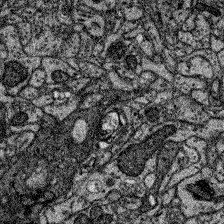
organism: Zebrafish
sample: Larval olfactory bulb